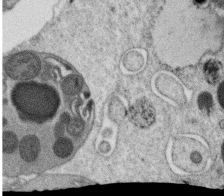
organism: C. elegans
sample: C. elegans oocyte; sperm cells